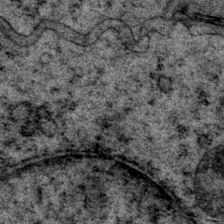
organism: P. pacificus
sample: Pharynx